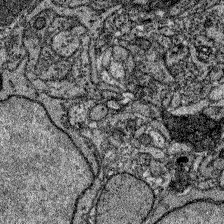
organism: Zebrafish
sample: Larval olfactory bulb